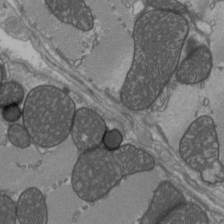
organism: C57BL Mouse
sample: Heart